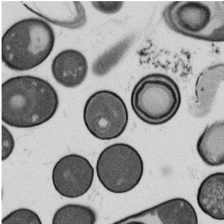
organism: B. subtilis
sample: Bacterial spore